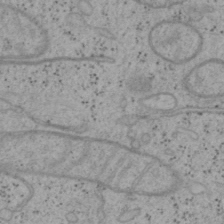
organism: Human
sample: HeLa cells